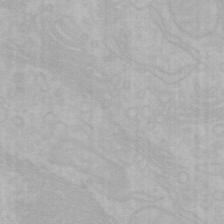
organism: Mouse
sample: Choroid plexus